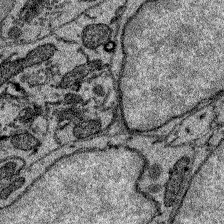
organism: Zebrafish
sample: Larval olfactory bulb